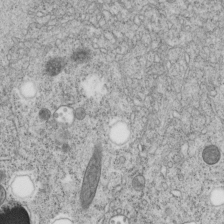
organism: C. elegans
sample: C. elegans embryo early stage